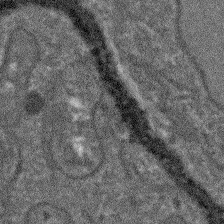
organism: Arabidopsis thaliana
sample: Root tip